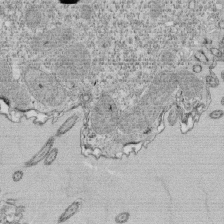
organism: Tetrahymena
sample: Cilia in tetrahymena